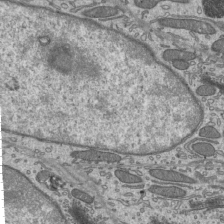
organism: Mouse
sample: Mouse epididymis efferent ductule cilia